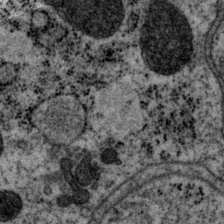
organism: P. pacificus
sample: Pharynx